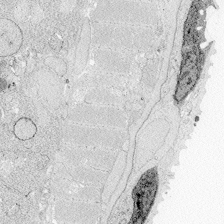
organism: Zebrafish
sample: Whole-Brain